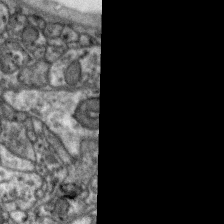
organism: Zebra finch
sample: Brain